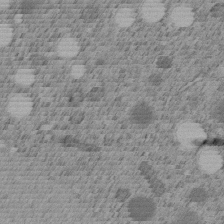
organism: C. elegans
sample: C. elegans embryo early stage